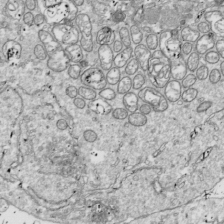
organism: Drosophila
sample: Cell division; meiosis; drosophila spermatocytes